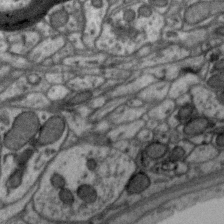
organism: Zebra finch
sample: Brain